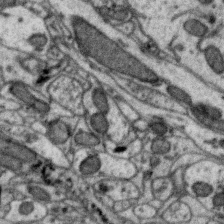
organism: Zebra finch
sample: Brain